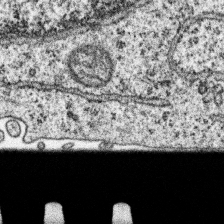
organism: Human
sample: HeLa cells